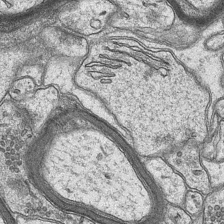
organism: Mouse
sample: CA1 Hippocampus